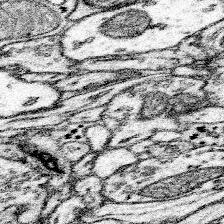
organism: Mouse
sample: Somatosensory cortex neuropil